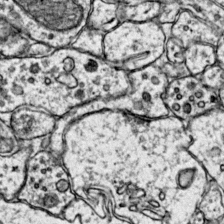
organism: Mouse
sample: Primary visual cortex